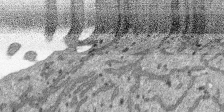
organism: Human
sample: Lung epithelial cells infected with SARS-CoV-2